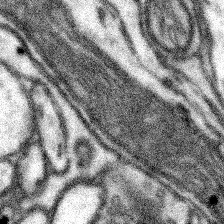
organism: Mouse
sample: Somatosensory cortex neuropil